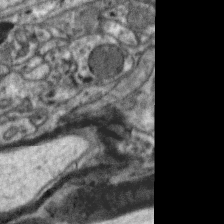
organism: Zebra finch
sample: Brain